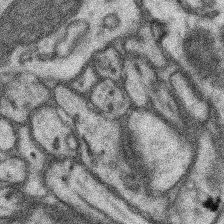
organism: Mouse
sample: Somatosensory cortex neuropil